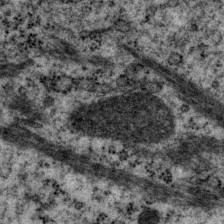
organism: P. pacificus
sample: Pharynx